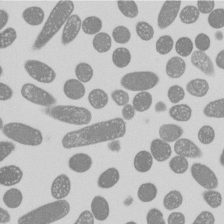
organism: E. coli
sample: Bacterial nucleoid